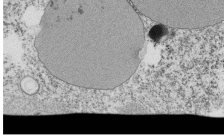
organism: Tetrahymena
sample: Cilia in tetrahymena